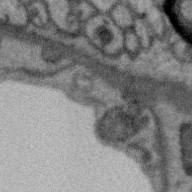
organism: Zebra finch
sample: Brain